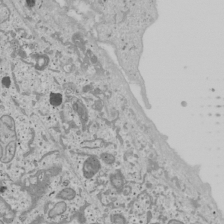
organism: Human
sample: Mitochondria in U2OS cells